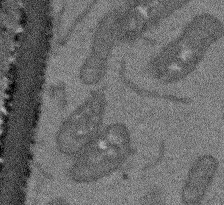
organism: Arabidopsis thaliana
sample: Root tip